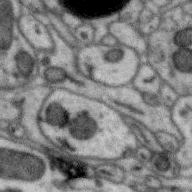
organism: Zebra finch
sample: Brain